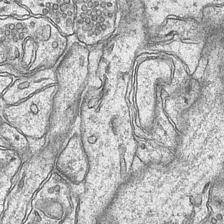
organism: Mouse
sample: CA1 Hippocampus